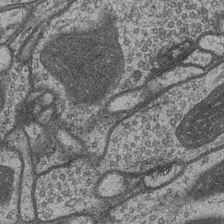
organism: Drosophila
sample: Optic medulla